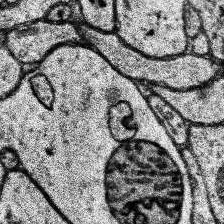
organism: Human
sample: Temporal Lobe